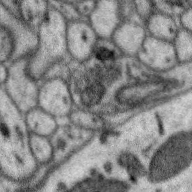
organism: Zebra finch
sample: Brain